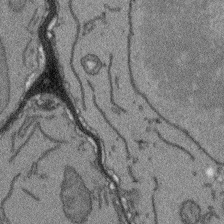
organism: Arabidopsis thaliana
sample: Root tip